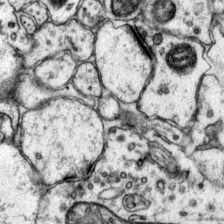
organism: Mouse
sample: Primary visual cortex